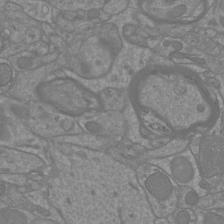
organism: Mouse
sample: Cortical neurons